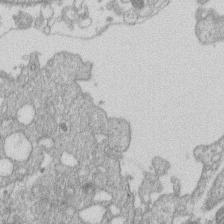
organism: Human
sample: Macrophage cells